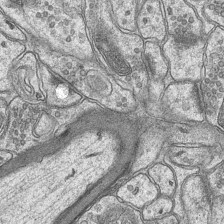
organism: Mouse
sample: CA1 Hippocampus